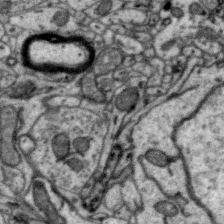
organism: Zebra finch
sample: Brain